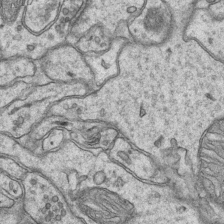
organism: Mouse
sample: CA1 Hippocampus